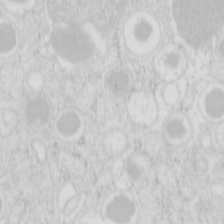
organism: Mouse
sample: Pancreas